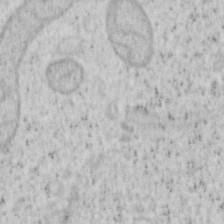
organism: Human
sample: HeLa cells